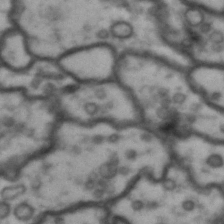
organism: Drosophila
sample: Brain